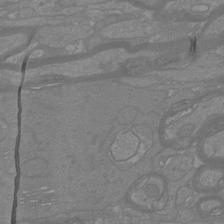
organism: Mouse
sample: Cortical neurons